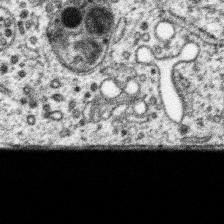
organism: Human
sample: HeLa cells